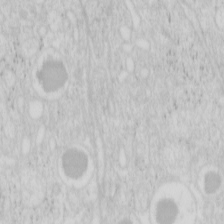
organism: Mouse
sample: Pancreas